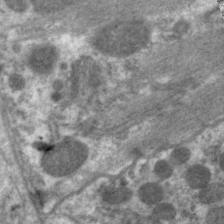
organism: C. elegans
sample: Pharynx